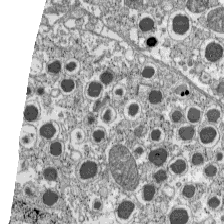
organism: C57BL Mouse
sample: Pancreatic islet